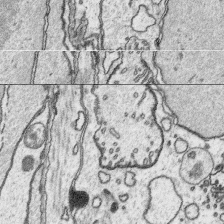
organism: Platynereis dumerilii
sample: Parapodia